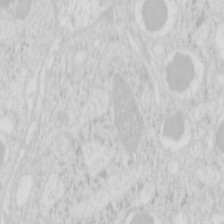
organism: Mouse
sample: Pancreas